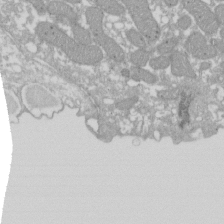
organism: Xenopus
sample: Cilia; centrioles in frog embryo cells